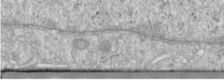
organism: Human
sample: Centriole in RPE cells